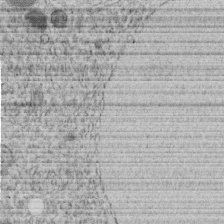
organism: C. elegans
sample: C. elegans embryo early stage